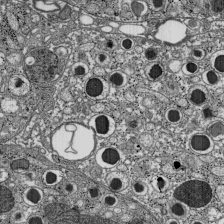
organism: C57BL Mouse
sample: Pancreatic islet